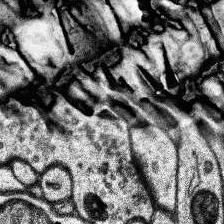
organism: Human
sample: Temporal Lobe